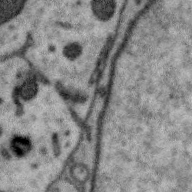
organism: Zebra finch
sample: Brain